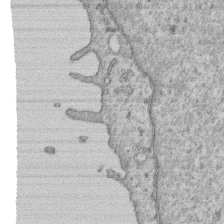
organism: Human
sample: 1205lu cells